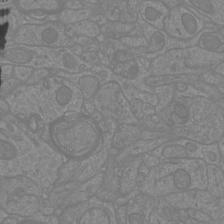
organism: Mouse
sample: Cortical neurons